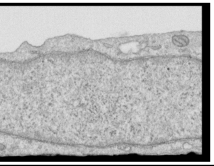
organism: Human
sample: Centriole in RPE cells